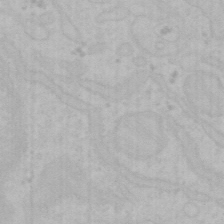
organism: Mouse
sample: Choroid plexus